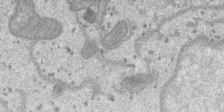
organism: Human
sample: Lung epithelial cells infected with SARS-CoV-2